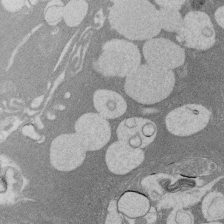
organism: Rat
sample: Salivary granule